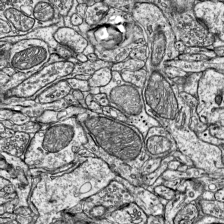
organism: Mouse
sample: Visual Cortex